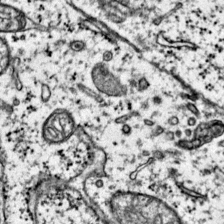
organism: Mouse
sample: Primary visual cortex